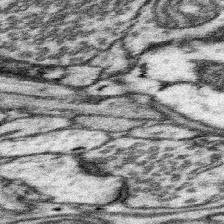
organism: Mouse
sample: Somatosensory cortex neuropil